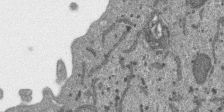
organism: Human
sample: Lung epithelial cells infected with SARS-CoV-2